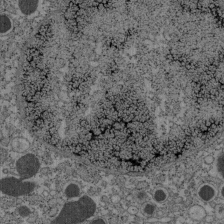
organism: C57BL Mouse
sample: Pancreatic islet